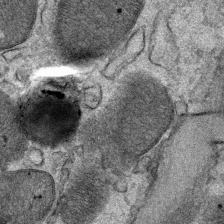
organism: Mouse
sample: Mouse Salivary gland